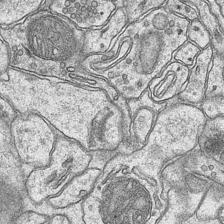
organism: Mouse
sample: CA1 Hippocampus